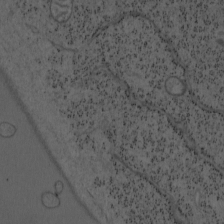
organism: Mouse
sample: OT-I killer T cells with ID8 ovarian cancer cells